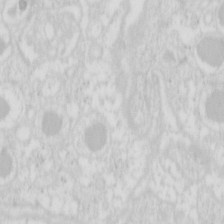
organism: Mouse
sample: Pancreas